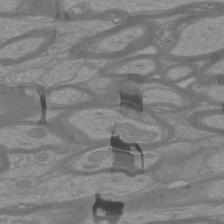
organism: Mouse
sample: Cortical neurons